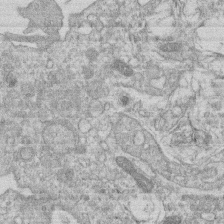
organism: Human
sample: Macrophage cells